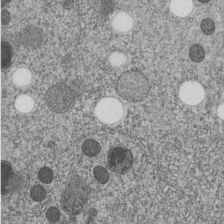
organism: C. elegans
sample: C. elegans embryo early stage